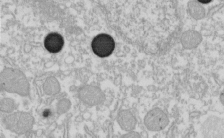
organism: Xenopus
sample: Cilia; centrioles in frog embryo cells